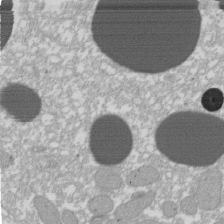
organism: Xenopus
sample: Cilia; centrioles in frog embryo cells